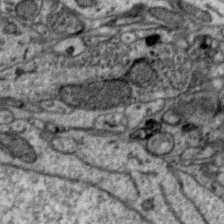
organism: Zebra finch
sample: Brain